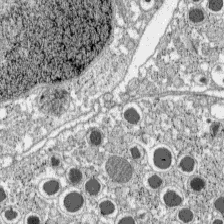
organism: C57BL Mouse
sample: Pancreatic islet